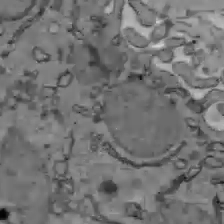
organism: C57BL Mouse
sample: Liver